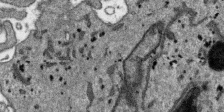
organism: Human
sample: Lung epithelial cells, uninfected (mock) control